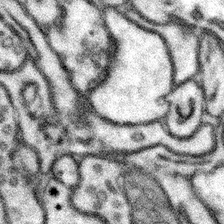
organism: Mouse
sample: Somatosensory cortex neuropil